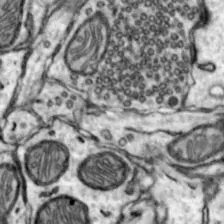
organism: Mouse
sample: Nucleus accumbens